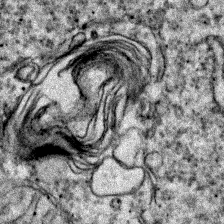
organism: Zebrafish